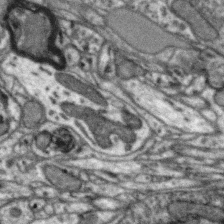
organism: Zebra finch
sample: Brain